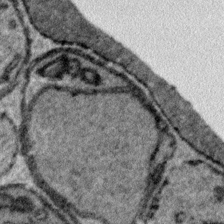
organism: Plasmodium falciparum